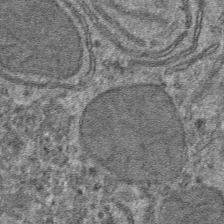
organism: Mouse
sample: Mouse hepatocytes